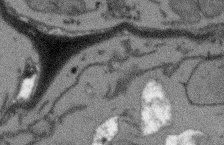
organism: Arabidopsis thaliana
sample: Root tip